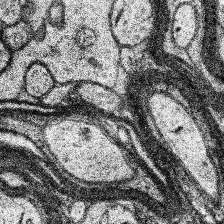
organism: Human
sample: Temporal Lobe